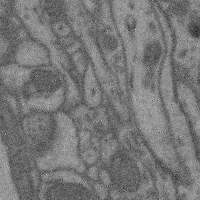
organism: Mouse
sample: Cerebral cortex